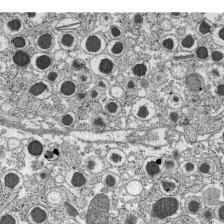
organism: C57BL Mouse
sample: Pancreatic islet